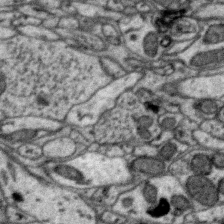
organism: Zebra finch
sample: Brain